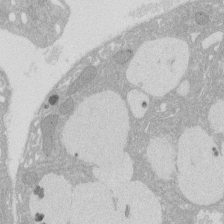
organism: Rat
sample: Salivary granule